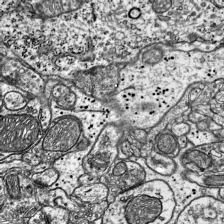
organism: Mouse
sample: Visual Cortex